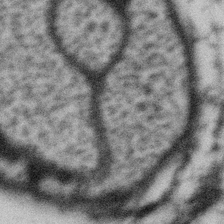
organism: Gemmata obscuriglobus